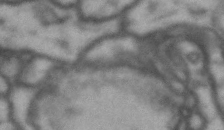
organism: Drosophila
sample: Brain